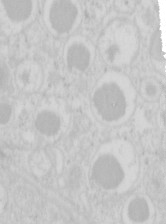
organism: Mouse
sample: Pancreas